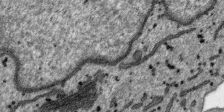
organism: Human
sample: Lung epithelial cells, uninfected (mock) control